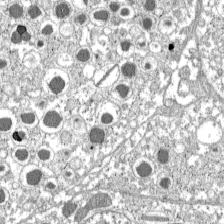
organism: C57BL Mouse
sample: Pancreatic islet